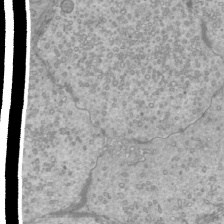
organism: Mouse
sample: Cilia; mouse epididymis